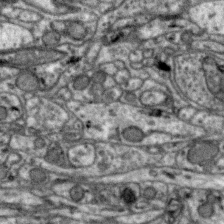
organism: Zebra finch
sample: Brain